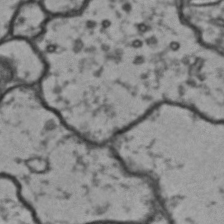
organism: Drosophila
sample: Brain